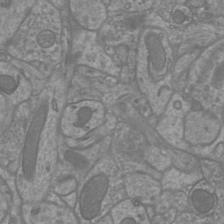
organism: Mouse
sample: Cortical neurons